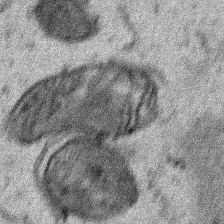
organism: Human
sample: Mitochondria in HCT116 cells